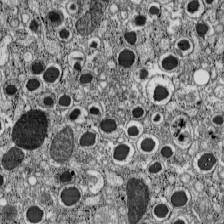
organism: C57BL Mouse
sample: Pancreatic islet